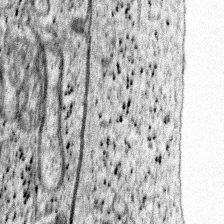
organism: Human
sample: HeLa cells